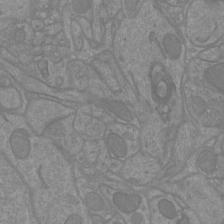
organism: Mouse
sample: Cortical neurons